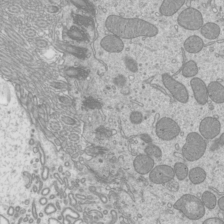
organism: Mouse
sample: Cilia; mouse epididymis